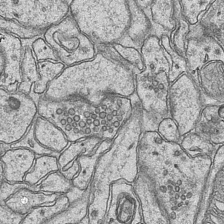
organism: Mouse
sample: CA1 Hippocampus